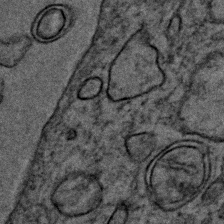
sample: Trachea